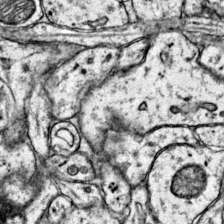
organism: Mouse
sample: Primary visual cortex